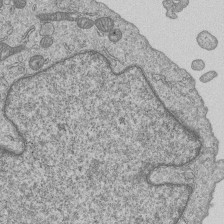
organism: Human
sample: MDA-MB-231 cells